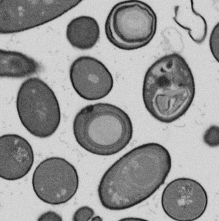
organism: B. subtilis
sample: Bacterial spore